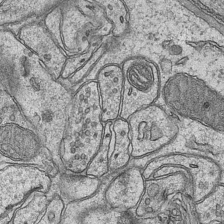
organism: Mouse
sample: CA1 Hippocampus